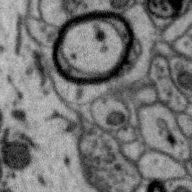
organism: Zebra finch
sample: Brain